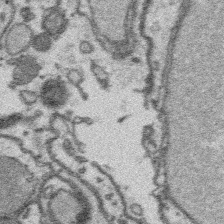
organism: Platynereis dumerilii